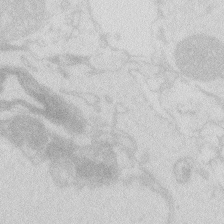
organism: Zebrafish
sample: Macrophage